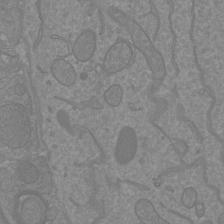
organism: Mouse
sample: Cortical neurons